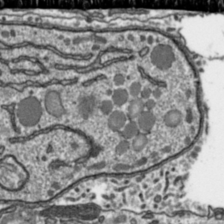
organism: Toxoplasma gondii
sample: Parasites in a vacuole inside a host cell